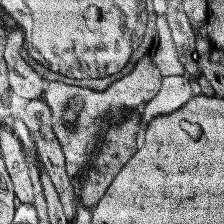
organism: Human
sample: Temporal Lobe